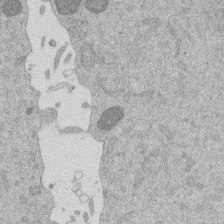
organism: Mouse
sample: Dividing mouse embryo 1 cell stage